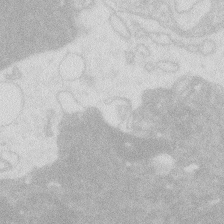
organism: Zebrafish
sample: Macrophage